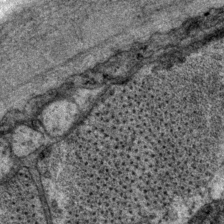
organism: P. pacificus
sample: Pharynx